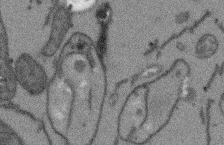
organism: Arabidopsis thaliana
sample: Root tip